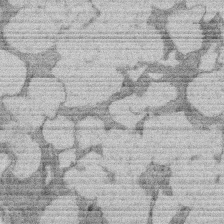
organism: Rat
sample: Salivary granule